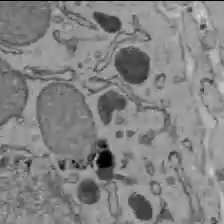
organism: C57BL Mouse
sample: Liver